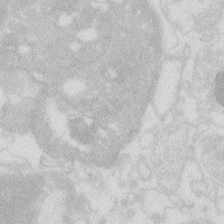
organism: Zebrafish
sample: Macrophage